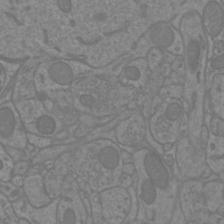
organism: Mouse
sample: Cortical neurons